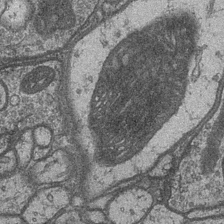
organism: Drosophila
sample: Optic medulla